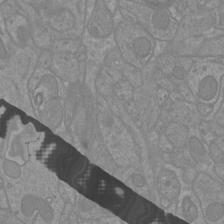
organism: Mouse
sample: Cortical neurons